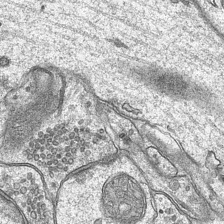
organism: Mouse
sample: CA1 Hippocampus